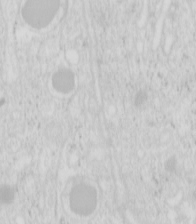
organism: Mouse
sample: Pancreas